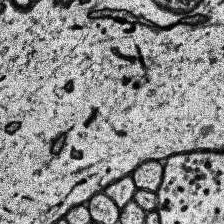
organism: Human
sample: Temporal Lobe